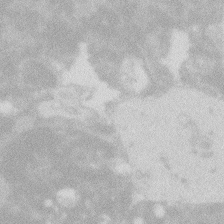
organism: Zebrafish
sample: Macrophage